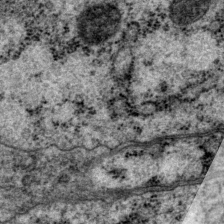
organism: P. pacificus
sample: Pharynx